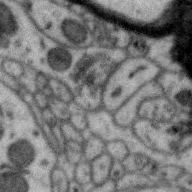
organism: Zebra finch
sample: Brain